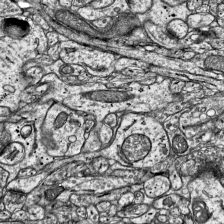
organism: Mouse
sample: Visual Cortex